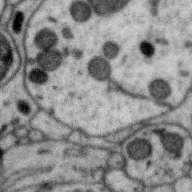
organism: Zebra finch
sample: Brain